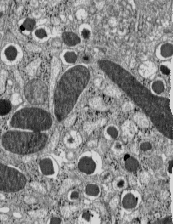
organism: C57BL Mouse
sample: Pancreatic islet